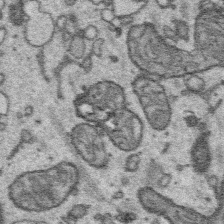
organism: Platynereis dumerilii